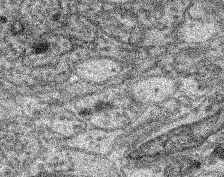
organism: Mouse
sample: Retina